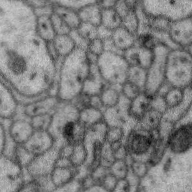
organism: Zebra finch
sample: Brain